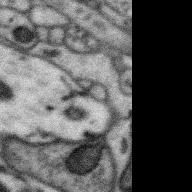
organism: Zebra finch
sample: Brain